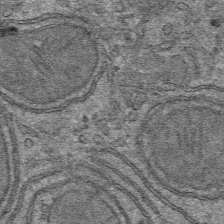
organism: Mouse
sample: Mouse hepatocytes